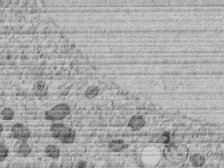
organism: C. elegans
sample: C. elegans embryo early stage